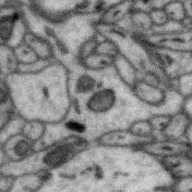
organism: Zebra finch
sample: Brain